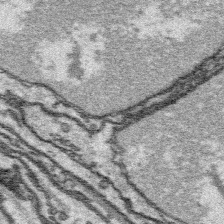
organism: Platynereis dumerilii